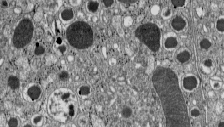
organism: C57BL Mouse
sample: Pancreatic islet